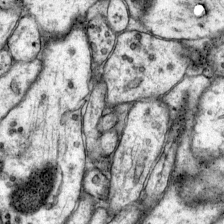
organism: Mouse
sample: Primary visual cortex